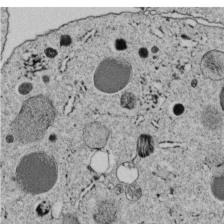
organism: C. elegans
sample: C. elegans embryo early stage